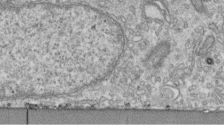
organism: Human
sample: Centriole in fibroblast cells